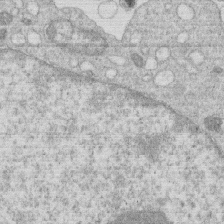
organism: Human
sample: Macrophage cells